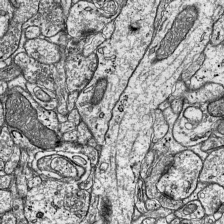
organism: Mouse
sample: Visual Cortex